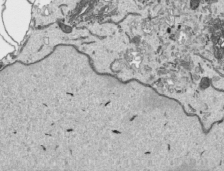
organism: Human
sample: Mitochondria in HCT116 cells